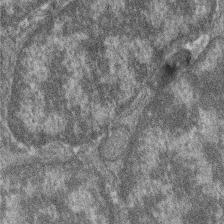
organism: Zebrafish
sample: Cilia; retinal pigment epithelium